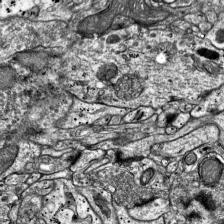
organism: Mouse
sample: Visual Cortex